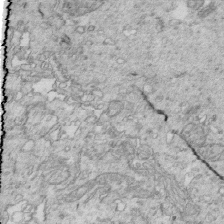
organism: Mouse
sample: Multiciliated cells